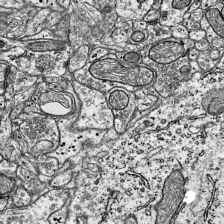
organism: Mouse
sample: Visual Cortex